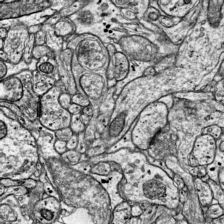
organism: Mouse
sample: Visual Cortex